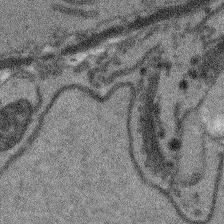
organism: Arabidopsis thaliana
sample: Root tip